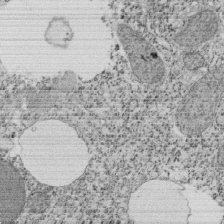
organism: Tetrahymena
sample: Cilia in tetrahymena